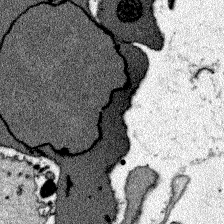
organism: Zebrafish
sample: Larval olfactory bulb